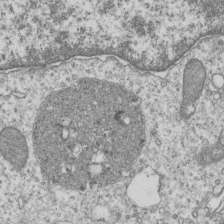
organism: Human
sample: MDA-MB-231 cells